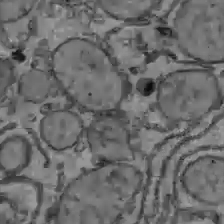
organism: C57BL Mouse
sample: Liver